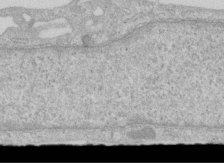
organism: Human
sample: Centriole in RPE cells